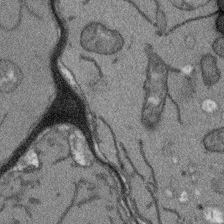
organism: Arabidopsis thaliana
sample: Root tip